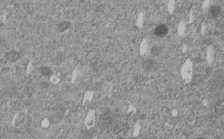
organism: C. elegans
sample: C. elegans embryo early stage